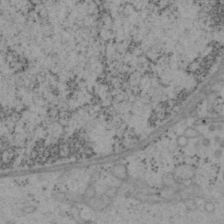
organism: Human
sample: HeLa cells